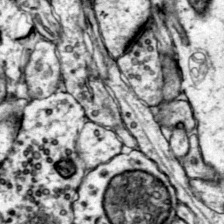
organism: Mouse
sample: Primary visual cortex